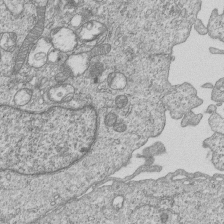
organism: Human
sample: MDA-MB-231 cells